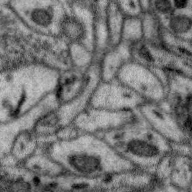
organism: Zebra finch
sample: Brain